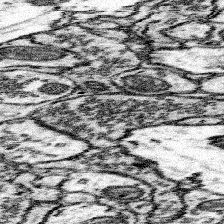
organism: Mouse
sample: Somatosensory cortex neuropil